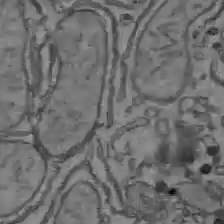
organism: C57BL Mouse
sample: Liver